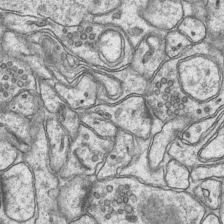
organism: Mouse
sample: CA1 Hippocampus